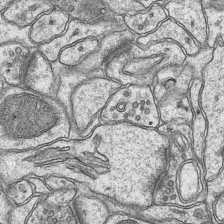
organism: Mouse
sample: CA1 Hippocampus